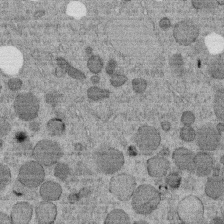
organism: C. elegans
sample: C. elegans embryo early stage